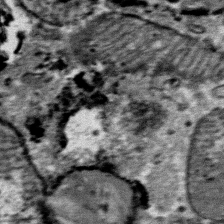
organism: Mouse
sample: Mouse Salivary gland